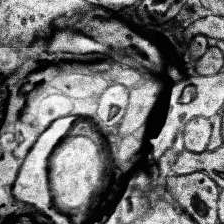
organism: Human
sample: Temporal Lobe